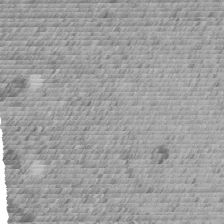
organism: C. elegans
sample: C. elegans embryo early stage